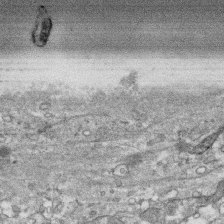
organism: Human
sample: CRL-1474